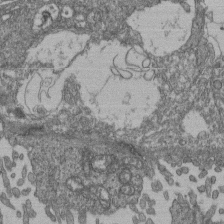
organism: Human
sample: Retinal organoid Rod and Cone cells